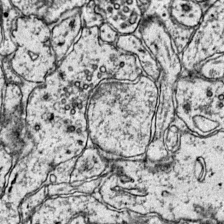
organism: Mouse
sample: Primary visual cortex